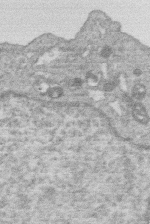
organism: Human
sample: Macrophage cells